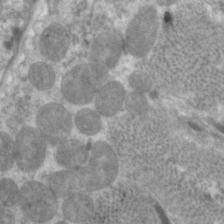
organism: C. elegans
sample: Pharynx